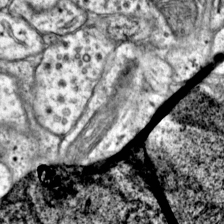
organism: Mouse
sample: Primary visual cortex